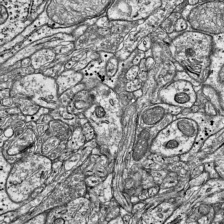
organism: Mouse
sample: Visual Cortex